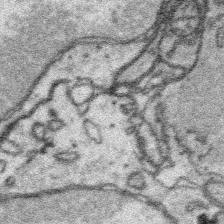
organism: Platynereis dumerilii